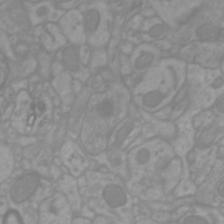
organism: Mouse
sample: Cortical neurons